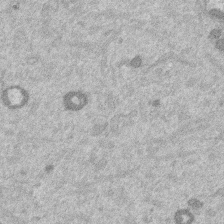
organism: Mouse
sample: Dividing mouse embryo 1 cell stage